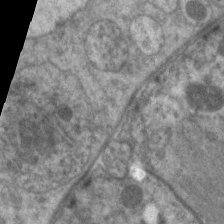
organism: C. elegans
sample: Pharynx